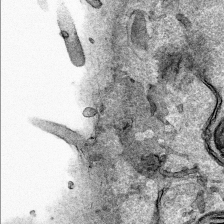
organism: Human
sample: Mitochondria in HCT116 cells